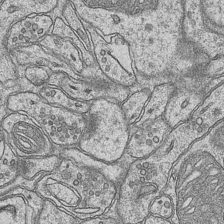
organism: Mouse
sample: CA1 Hippocampus